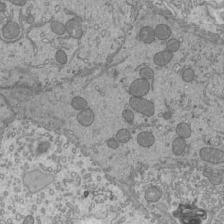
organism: Mouse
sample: Cilia; mouse epididymis